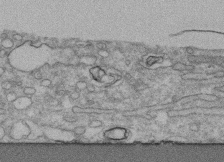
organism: Human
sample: CRL-1474